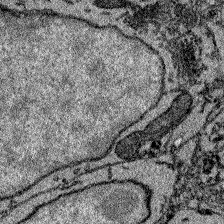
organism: Zebrafish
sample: Larval olfactory bulb